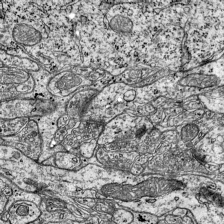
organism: Mouse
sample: Visual Cortex